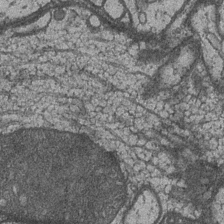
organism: Drosophila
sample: Optic medulla